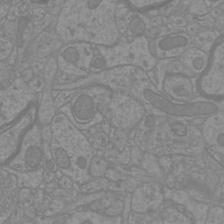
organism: Mouse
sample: Cortical neurons